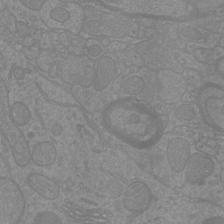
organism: Mouse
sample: Cortical neurons